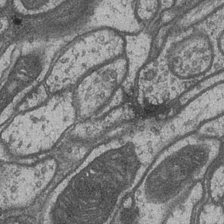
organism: Drosophila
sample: Optic medulla